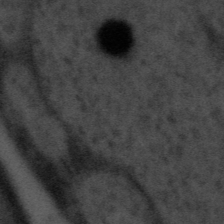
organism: Tuwongella immobilis